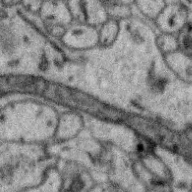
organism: Zebra finch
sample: Brain